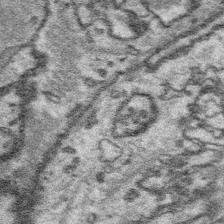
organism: Platynereis dumerilii